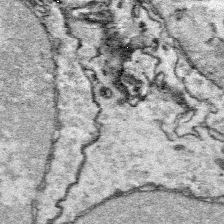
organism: Platynereis dumerilii